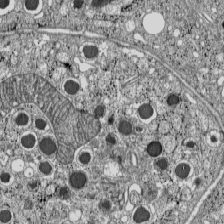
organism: C57BL Mouse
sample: Pancreatic islet